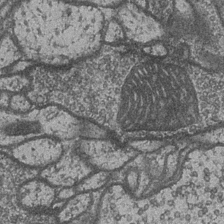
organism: Drosophila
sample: Optic medulla